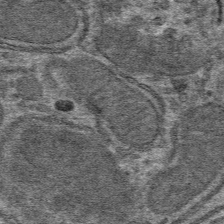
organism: Mouse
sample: Mouse hepatocytes